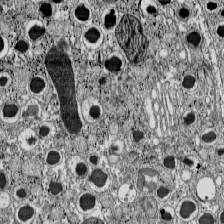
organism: C57BL Mouse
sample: Pancreatic islet